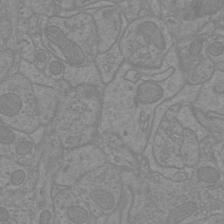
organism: Mouse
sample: Cortical neurons